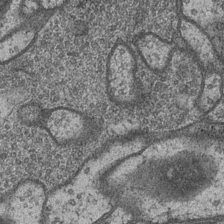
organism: Drosophila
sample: Optic medulla